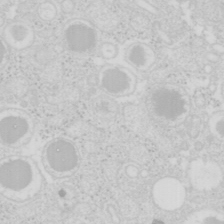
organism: Mouse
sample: Pancreas